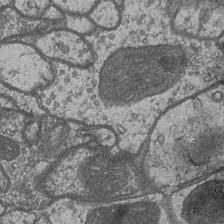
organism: Drosophila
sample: Optic medulla